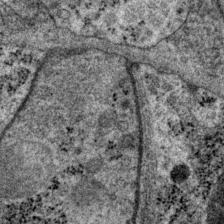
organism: P. pacificus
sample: Pharynx